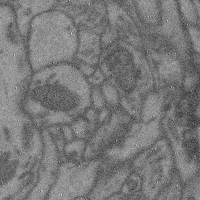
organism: Mouse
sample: Cerebral cortex